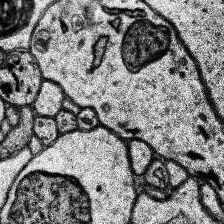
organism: Human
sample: Temporal Lobe